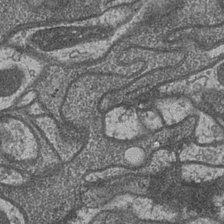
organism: Drosophila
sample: Optic medulla